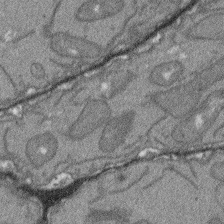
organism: Arabidopsis thaliana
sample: Root tip